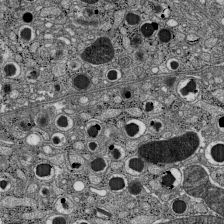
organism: C57BL Mouse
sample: Pancreatic islet